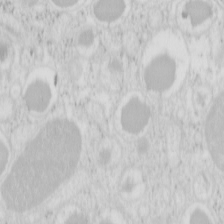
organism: Mouse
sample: Pancreas